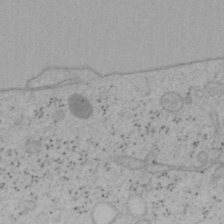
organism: Human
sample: HeLa cells